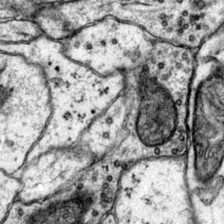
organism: Mouse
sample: Primary visual cortex